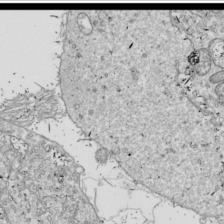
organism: Drosophila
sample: Cell division; meiosis; drosophila spermatocytes